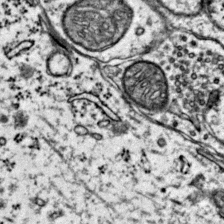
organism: Mouse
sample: Primary visual cortex